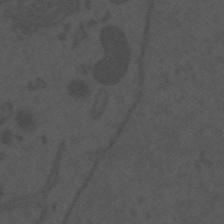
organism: Mouse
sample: Suprachiasmatic nucleus